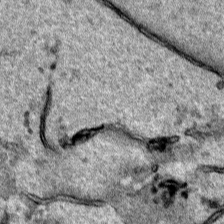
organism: Human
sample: Mitochondria in HCT116 cells